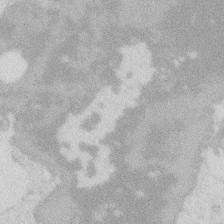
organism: Zebrafish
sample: Macrophage